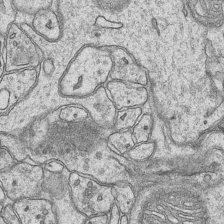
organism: Mouse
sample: CA1 Hippocampus